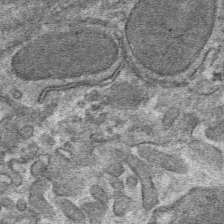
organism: Mouse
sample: Mouse hepatocytes